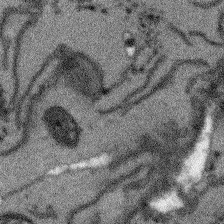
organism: Arabidopsis thaliana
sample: Root tip